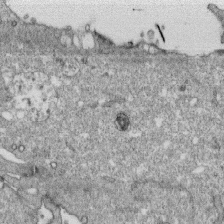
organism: African green monkey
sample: Vero E6 cells infected with SARS-CoV-2